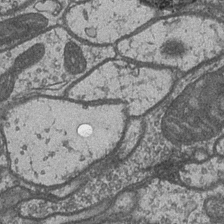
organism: Drosophila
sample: Optic medulla